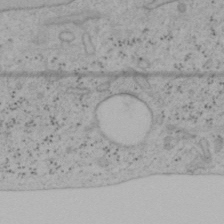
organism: Human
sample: HeLa cells